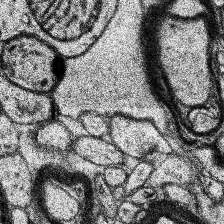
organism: Human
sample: Temporal Lobe